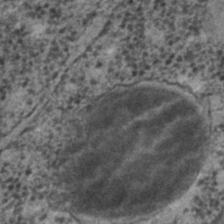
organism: C. elegans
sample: C. elegans embryo